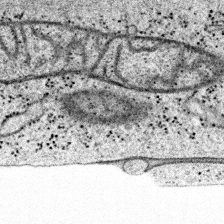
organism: Human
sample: HeLa cells